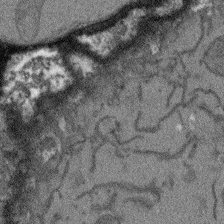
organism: Arabidopsis thaliana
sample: Root tip